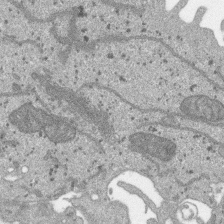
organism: Human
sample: Lung epithelial cells infected with SARS-CoV-2